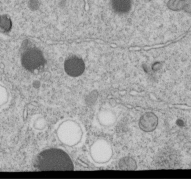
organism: C. elegans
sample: C. elegans embryo early stage